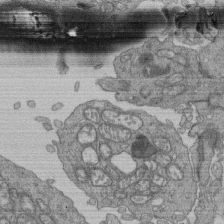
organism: Human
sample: Retinal organoid Rod and Cone cells